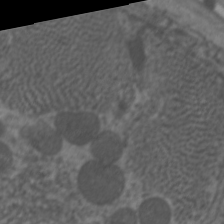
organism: C. elegans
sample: Pharynx